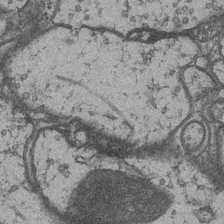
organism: Drosophila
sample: Optic medulla